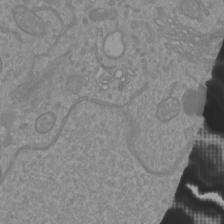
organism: Mouse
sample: Cortical neurons